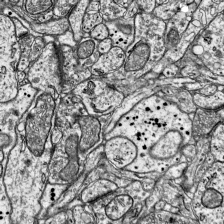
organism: Mouse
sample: Visual Cortex